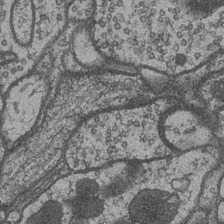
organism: Drosophila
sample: Optic medulla